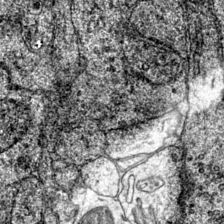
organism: Mouse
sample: Primary visual cortex